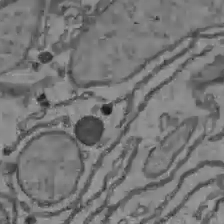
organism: C57BL Mouse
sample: Liver